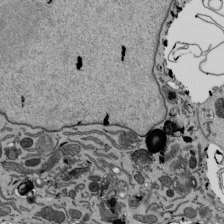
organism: Mouse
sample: ED-1 cell nuclei; centrioles